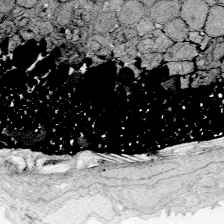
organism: Zebrafish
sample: Whole-Brain